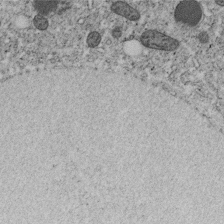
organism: C. elegans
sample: C. elegans embryo early stage